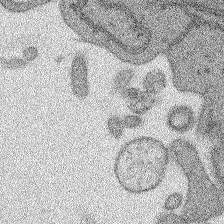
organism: Human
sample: HeLa cells